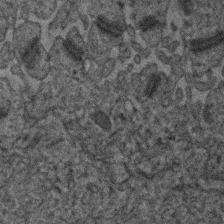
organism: Human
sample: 1205lu cells